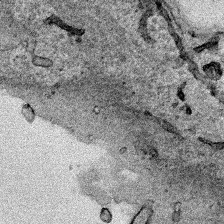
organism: Human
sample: Mitochondria in HCT116 cells